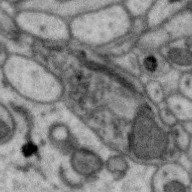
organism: Zebra finch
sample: Brain